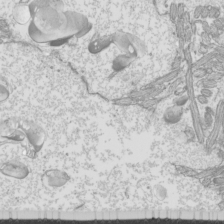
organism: Mouse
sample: Cilia; mouse epididymis